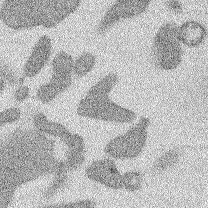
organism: Human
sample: HeLa cells